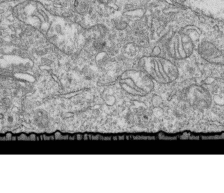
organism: Human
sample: HeLa cell HIV synapse